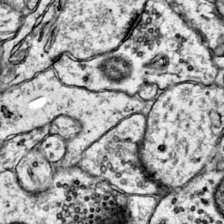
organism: Mouse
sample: Primary visual cortex